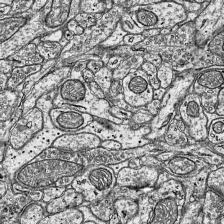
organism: Mouse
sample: Visual Cortex